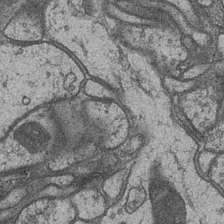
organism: Drosophila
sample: Optic medulla